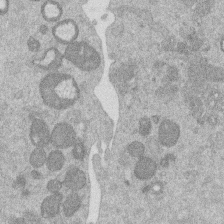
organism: Mouse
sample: Dividing mouse embryo 1 cell stage